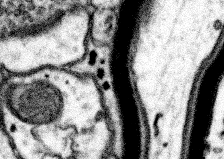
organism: Mouse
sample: Somatosensory cortex neuropil